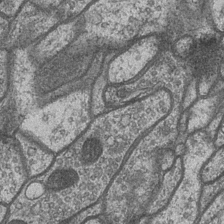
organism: Drosophila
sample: Optic medulla